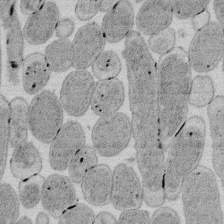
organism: E. coli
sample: Bacterial nucleoid